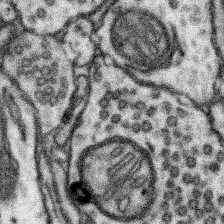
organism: Mouse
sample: Somatosensory cortex neuropil